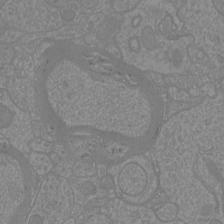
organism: Mouse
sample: Cortical neurons